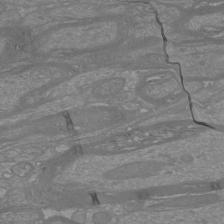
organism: Mouse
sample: Cortical neurons